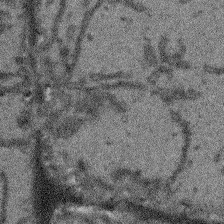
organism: Arabidopsis thaliana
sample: Root tip